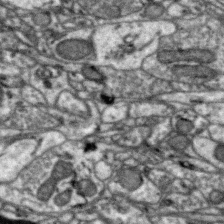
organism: Zebra finch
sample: Brain